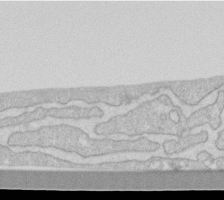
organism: Human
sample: Fibroblast cells